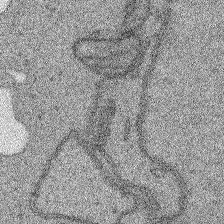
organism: Human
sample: HeLa cells